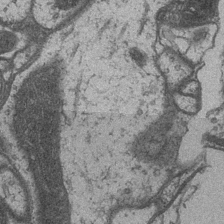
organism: Drosophila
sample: Optic medulla